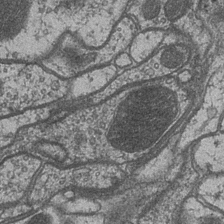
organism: Drosophila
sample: Optic medulla